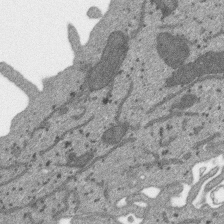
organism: Human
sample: Lung epithelial cells infected with SARS-CoV-2